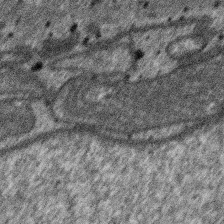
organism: Human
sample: Lung epithelial cells infected with SARS-CoV-2